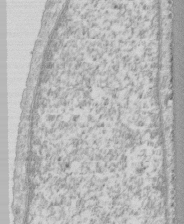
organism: Human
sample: CRL-1474